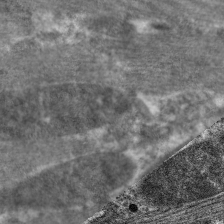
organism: C. elegans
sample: Pharynx